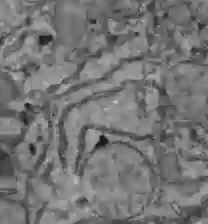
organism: C57BL Mouse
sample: Liver